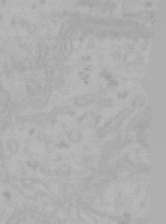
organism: Mouse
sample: Choroid plexus